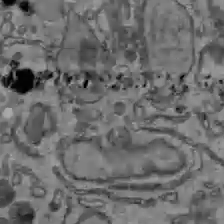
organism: C57BL Mouse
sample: Liver